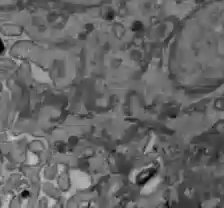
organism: C57BL Mouse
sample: Liver